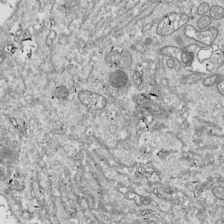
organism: Drosophila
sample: Cell division; meiosis; drosophila spermatocytes